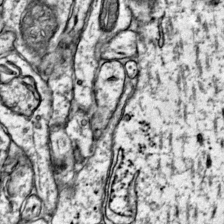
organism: Mouse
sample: Primary visual cortex